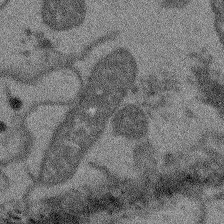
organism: Arabidopsis thaliana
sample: Root tip